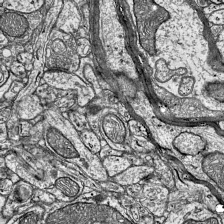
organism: Mouse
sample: Visual Cortex